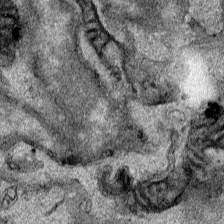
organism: Human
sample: Mitochondria in HCT116 cells